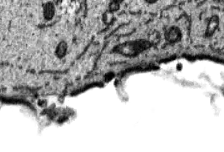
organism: Human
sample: HeLa cells